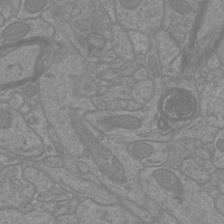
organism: Mouse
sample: Cortical neurons